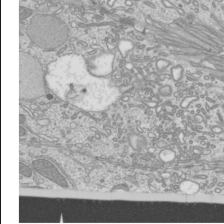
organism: Mouse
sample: Cilia; mouse epididymis